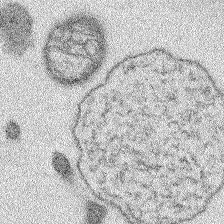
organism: Human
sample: HeLa cells